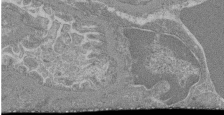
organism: Mouse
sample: Glomerulus